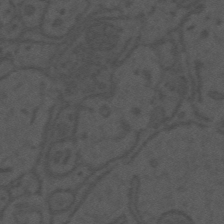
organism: Mouse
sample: Suprachiasmatic nucleus